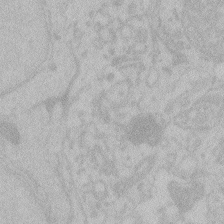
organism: Zebrafish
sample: Macrophage infected with Toxoplasma gondii